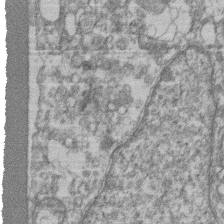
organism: Mouse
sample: T cell stromal cell synapse